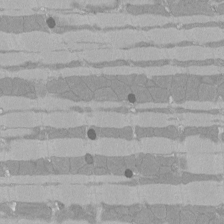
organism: Rat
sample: Left ventricle